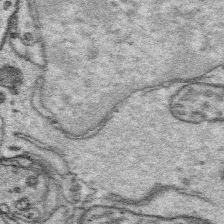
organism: Platynereis dumerilii